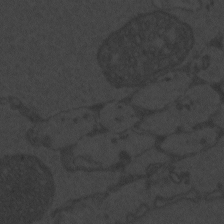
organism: Zebrafish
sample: Macrophage infected with Toxoplasma gondii